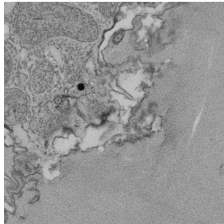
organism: Tetrahymena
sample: Cilia in tetrahymena